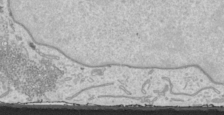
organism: Human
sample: Mitochondria in HCT116 cells